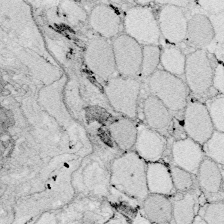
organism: Zebrafish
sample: Whole-Brain